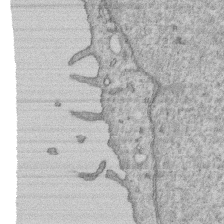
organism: Human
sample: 1205lu cells